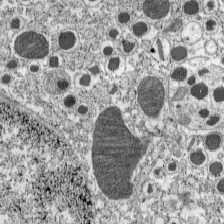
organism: C57BL Mouse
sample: Pancreatic islet